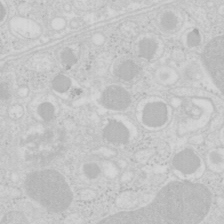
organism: Mouse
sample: Pancreas